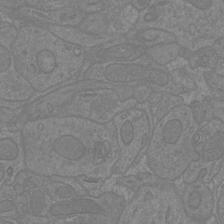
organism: Mouse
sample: Cortical neurons